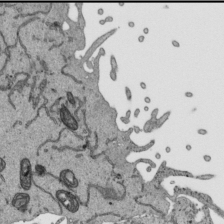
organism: Human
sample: Mitochondria in HCT116 cells